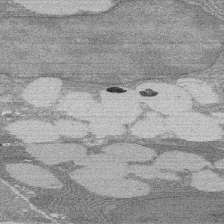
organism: Rat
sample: Salivary granule